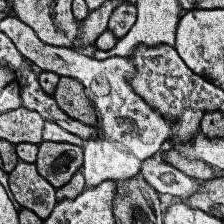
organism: Human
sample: Temporal Lobe